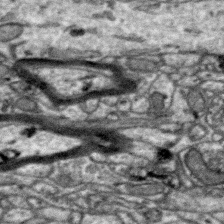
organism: Zebra finch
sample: Brain